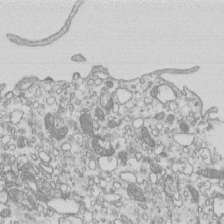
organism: Mouse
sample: Macrophages